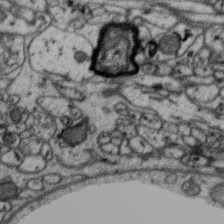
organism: Zebra finch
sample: Brain